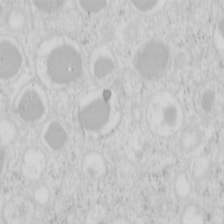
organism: Mouse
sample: Pancreas